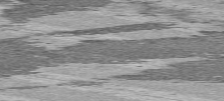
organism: C57BL Mouse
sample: Heart